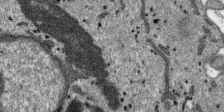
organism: Human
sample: Lung epithelial cells, uninfected (mock) control